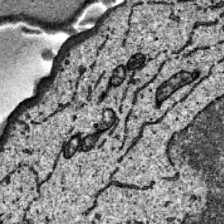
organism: Human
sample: HeLa cells